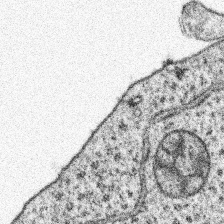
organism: Human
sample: HeLa cells